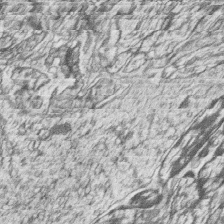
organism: Zebrafish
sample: synaptic ribbons in rod cells and cone cells